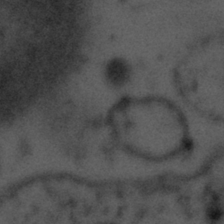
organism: Tuwongella immobilis